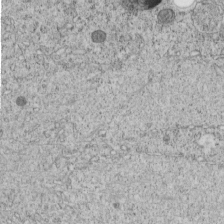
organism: C. elegans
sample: C. elegans embryo early stage